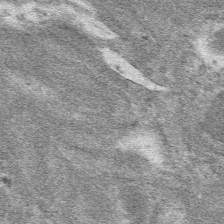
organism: Mouse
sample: Mouse hepatocytes